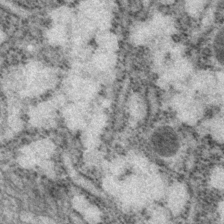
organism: P. pacificus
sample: Pharynx